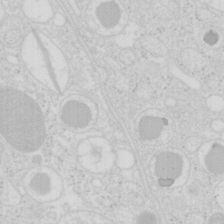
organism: Mouse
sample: Pancreas